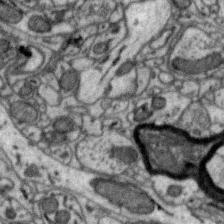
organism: Zebra finch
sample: Brain